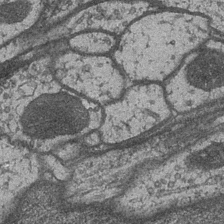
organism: Drosophila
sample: Optic medulla